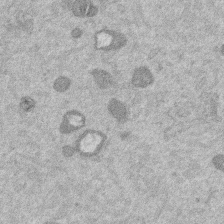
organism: Mouse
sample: Dividing mouse embryo 1 cell stage